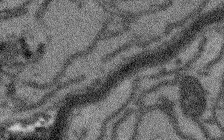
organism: Arabidopsis thaliana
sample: Root tip